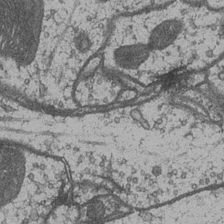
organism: Drosophila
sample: Optic medulla